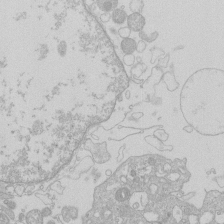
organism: Human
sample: Macrophage cells